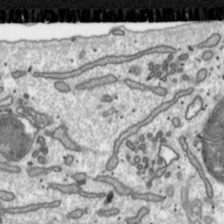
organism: Toxoplasma gondii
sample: Parasites in a vacuole inside a host cell